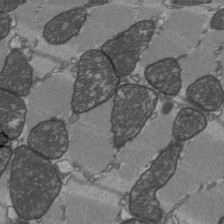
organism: C57BL Mouse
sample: Heart